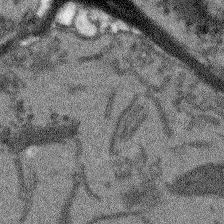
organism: Arabidopsis thaliana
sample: Root tip